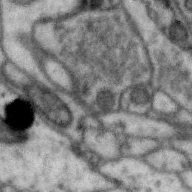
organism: Zebra finch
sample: Brain